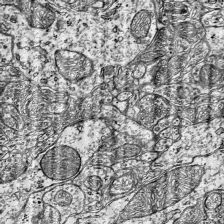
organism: Mouse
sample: Visual Cortex